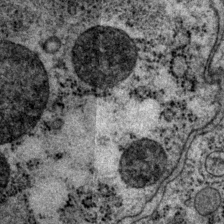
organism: P. pacificus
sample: Pharynx